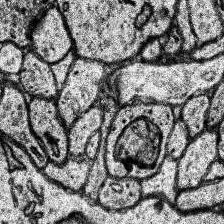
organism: Human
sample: Temporal Lobe